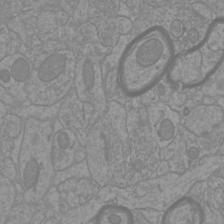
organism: Mouse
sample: Cortical neurons